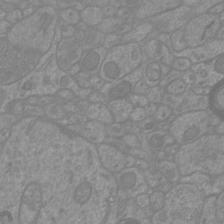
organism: Mouse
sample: Cortical neurons